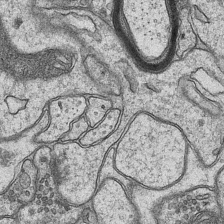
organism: Mouse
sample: CA1 Hippocampus